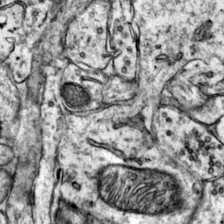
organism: Mouse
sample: Primary visual cortex